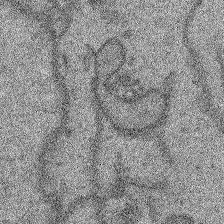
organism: Human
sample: HeLa cells